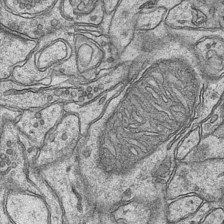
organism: Mouse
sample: CA1 Hippocampus